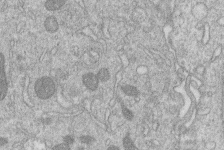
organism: Human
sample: Macrophage cells